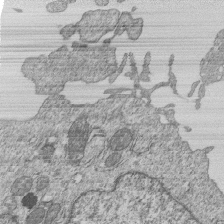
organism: Human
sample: MDA-MB-231 cells